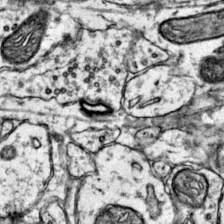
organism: Mouse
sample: Primary visual cortex